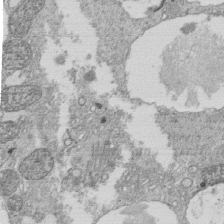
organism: Tetrahymena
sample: Cilia in tetrahymena